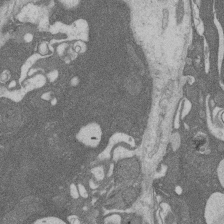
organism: Rat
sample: Salivary granule